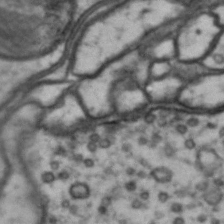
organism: Drosophila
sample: Brain